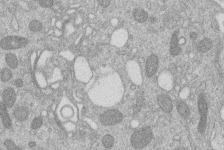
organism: Human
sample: Macrophage cells